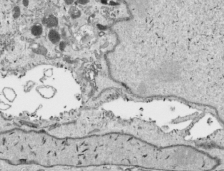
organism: Human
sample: Mitochondria in HCT116 cells